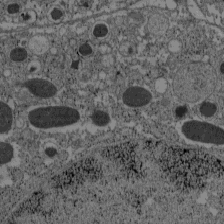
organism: C57BL Mouse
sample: Pancreatic islet